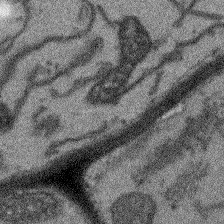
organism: Arabidopsis thaliana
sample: Root tip